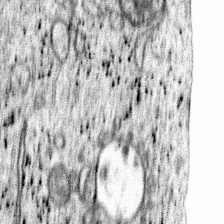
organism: Human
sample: HeLa cells